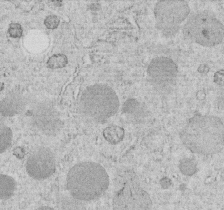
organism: C. elegans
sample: C. elegans embryo early stage